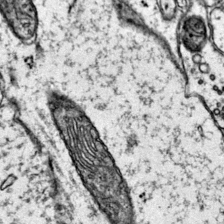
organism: Mouse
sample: Primary visual cortex